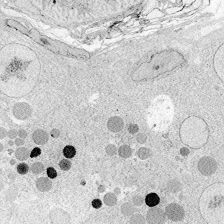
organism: Zebrafish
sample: Whole-Brain